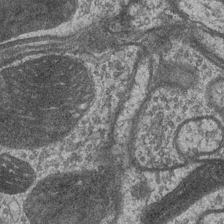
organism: Drosophila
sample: Optic medulla